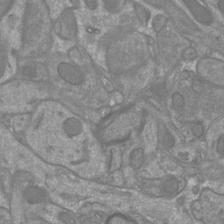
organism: Mouse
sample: Cortical neurons